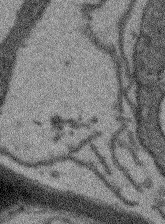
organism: Arabidopsis thaliana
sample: Root tip